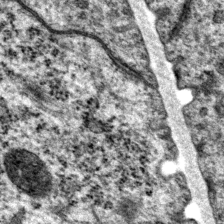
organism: P. pacificus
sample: Pharynx